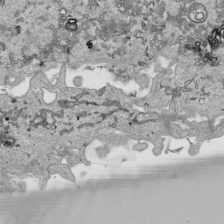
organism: Human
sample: Mitochondria in HCT116 cells